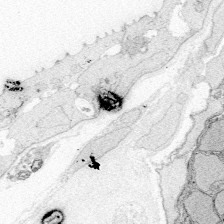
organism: Zebrafish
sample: Whole-Brain